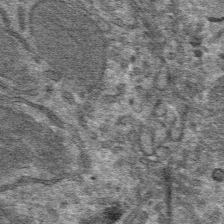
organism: Mouse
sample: Mouse hepatocytes